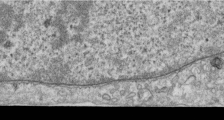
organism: Human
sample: Centriole in RPE cells